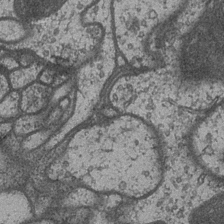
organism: Drosophila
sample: Optic medulla